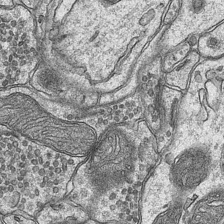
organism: Mouse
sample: CA1 Hippocampus